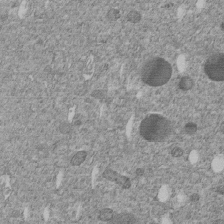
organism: C. elegans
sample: C. elegans embryo early stage